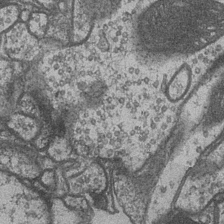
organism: Drosophila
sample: Optic medulla